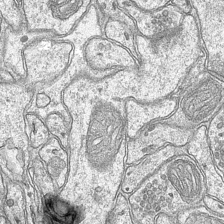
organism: Mouse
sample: CA1 Hippocampus